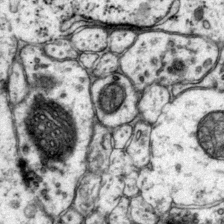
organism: Mouse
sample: Primary visual cortex